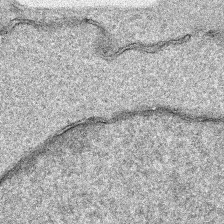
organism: Human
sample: Mitochondria in HCT116 cells